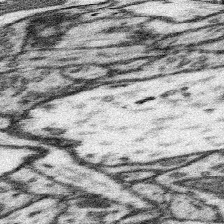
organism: Mouse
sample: Somatosensory cortex neuropil